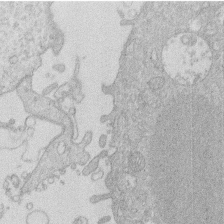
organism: Human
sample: Macrophage cells